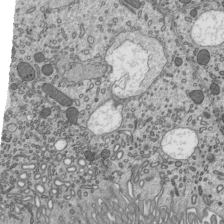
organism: Mouse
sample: Mouse epididymis efferent ductule cilia